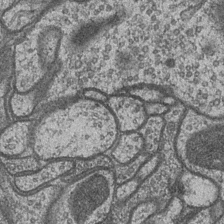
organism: Drosophila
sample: Optic medulla